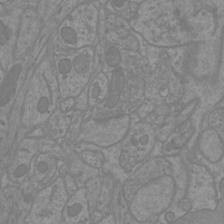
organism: Mouse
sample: Cortical neurons